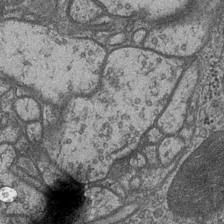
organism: Drosophila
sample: Optic medulla